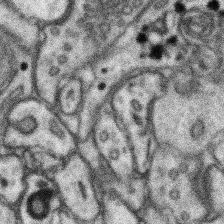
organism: Mouse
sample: Somatosensory cortex neuropil